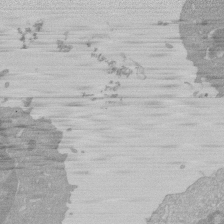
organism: Mouse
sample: Activated Pmel transgenic CD8+ T Cells